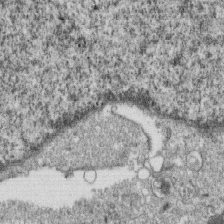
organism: African green monkey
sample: Vero E6 cells infected with SARS-CoV-2